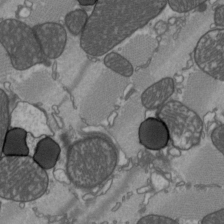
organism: C57BL Mouse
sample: Heart